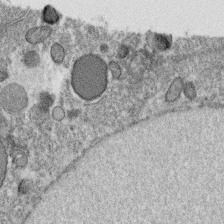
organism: C. elegans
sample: C. elegans oocyte; sperm cells